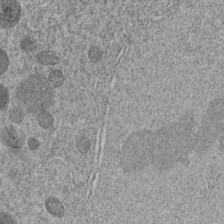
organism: C. elegans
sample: C. elegans embryo early stage